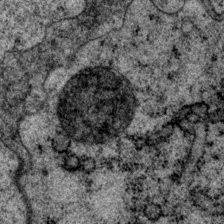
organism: P. pacificus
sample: Pharynx